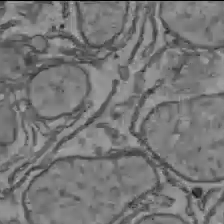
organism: C57BL Mouse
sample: Liver